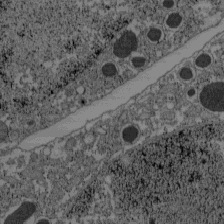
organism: C57BL Mouse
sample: Pancreatic islet